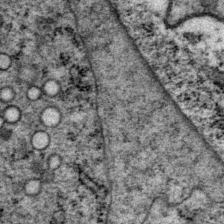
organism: P. pacificus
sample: Pharynx